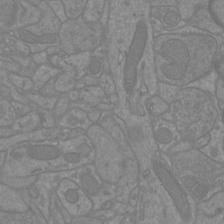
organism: Mouse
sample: Cortical neurons